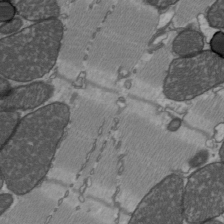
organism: C57BL Mouse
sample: Heart